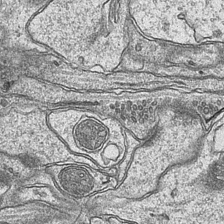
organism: Mouse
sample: CA1 Hippocampus